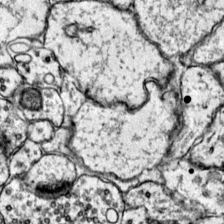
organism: Mouse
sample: Primary visual cortex